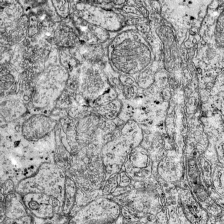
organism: Mouse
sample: Visual Cortex